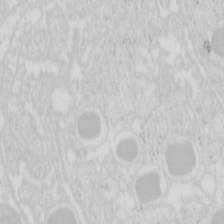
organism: Mouse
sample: Pancreas